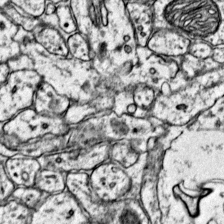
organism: Mouse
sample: Primary visual cortex